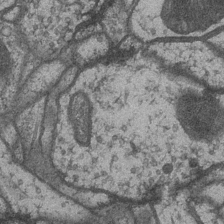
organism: Drosophila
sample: Optic medulla